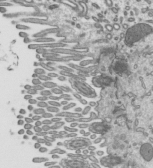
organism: Mouse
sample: Mouse epididymis efferent ductule cilia